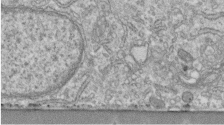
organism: Human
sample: Centriole in fibroblast cells